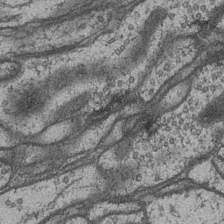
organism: Drosophila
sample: Optic medulla